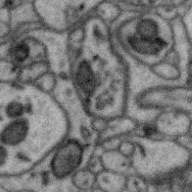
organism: Zebra finch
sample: Brain